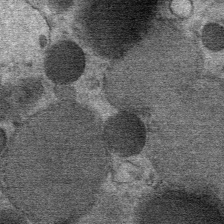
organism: Mouse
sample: Mouse Salivary gland